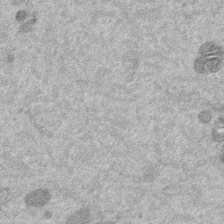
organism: Mouse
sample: Dividing mouse embryo 1 cell stage